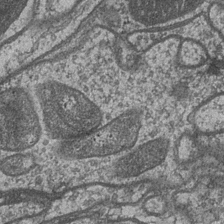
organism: Drosophila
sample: Optic medulla